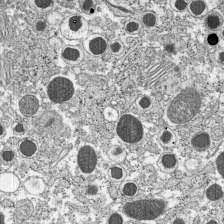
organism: C57BL Mouse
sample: Pancreatic islet